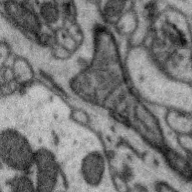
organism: Zebra finch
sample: Brain